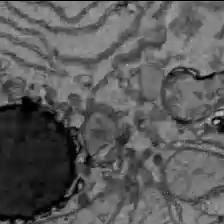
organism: C57BL Mouse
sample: Liver